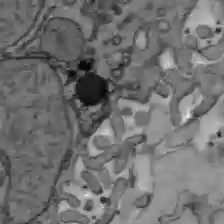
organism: C57BL Mouse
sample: Liver